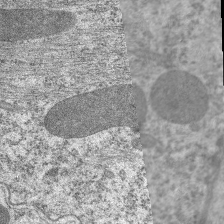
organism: C. elegans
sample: Pharynx